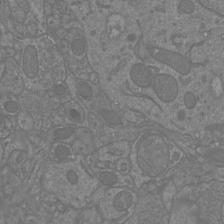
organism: Mouse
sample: Cortical neurons